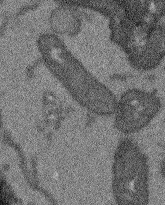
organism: Arabidopsis thaliana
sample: Root tip